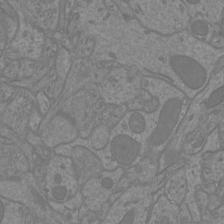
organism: Mouse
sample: Cortical neurons